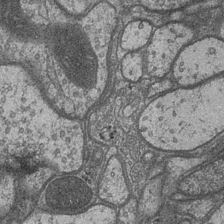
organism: Drosophila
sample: Optic medulla